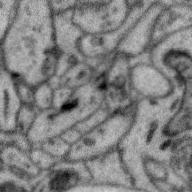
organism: Zebra finch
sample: Brain